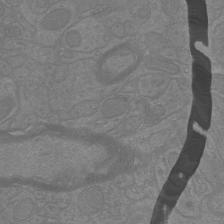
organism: Mouse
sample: Cortical neurons